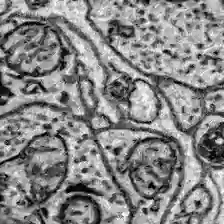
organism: Zebrafish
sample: Brain